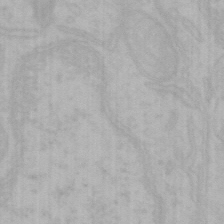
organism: Mouse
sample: Choroid plexus